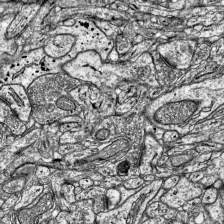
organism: Mouse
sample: Visual Cortex